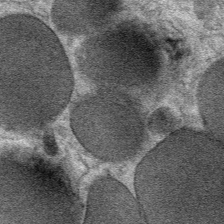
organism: Mouse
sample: Mouse Salivary gland